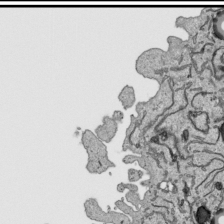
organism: Human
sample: Mitochondria in HCT116 cells